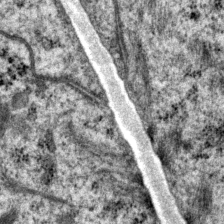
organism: P. pacificus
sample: Pharynx